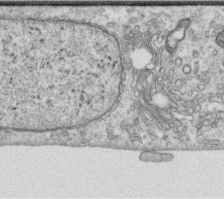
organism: Human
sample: Centriole in RPE cells